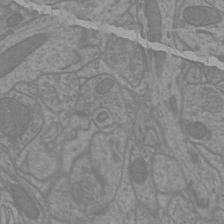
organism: Mouse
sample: Cortical neurons